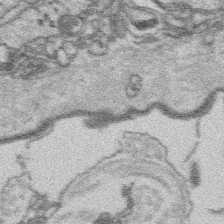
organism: Platynereis dumerilii